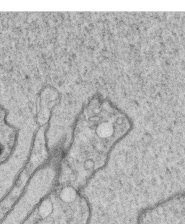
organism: C. elegans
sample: C. elegans oocyte; sperm cells